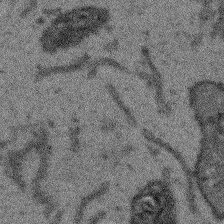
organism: Arabidopsis thaliana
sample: Root tip